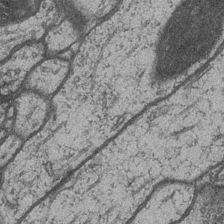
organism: Drosophila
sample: Optic medulla